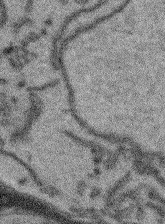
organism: Arabidopsis thaliana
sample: Root tip